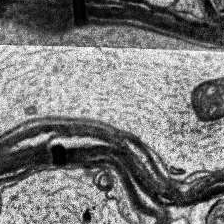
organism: Human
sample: Temporal Lobe